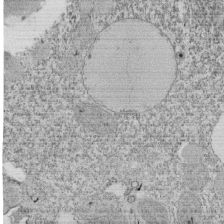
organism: Tetrahymena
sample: Cilia in tetrahymena